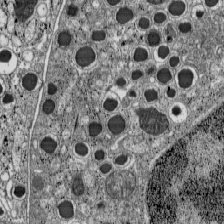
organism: C57BL Mouse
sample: Pancreatic islet